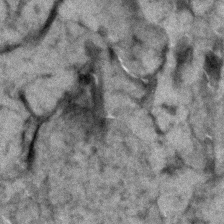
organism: Zebrafish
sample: Zebrafish embryo